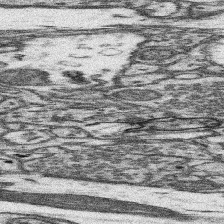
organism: Mouse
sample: Somatosensory cortex neuropil